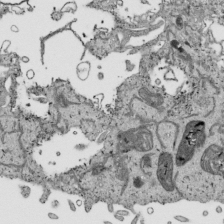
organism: Human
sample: Mitochondria in HCT116 cells